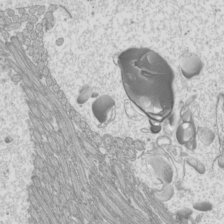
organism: Mouse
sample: Cilia; mouse epididymis